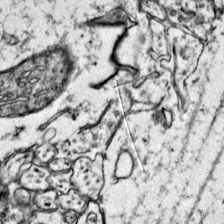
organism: Mouse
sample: Primary visual cortex